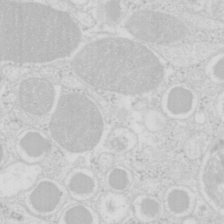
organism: Mouse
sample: Pancreas